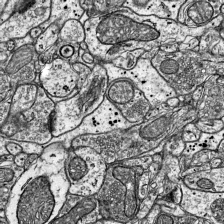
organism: Mouse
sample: Visual Cortex